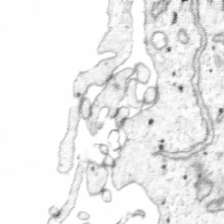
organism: Human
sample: HeLa cells